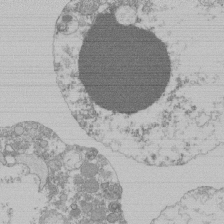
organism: Mouse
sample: Activated Pmel transgenic CD8+ T Cells